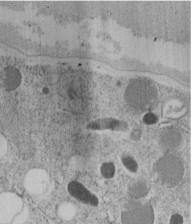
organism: C. elegans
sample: C. elegans embryo early stage